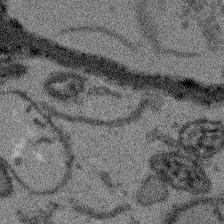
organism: Arabidopsis thaliana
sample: Root tip